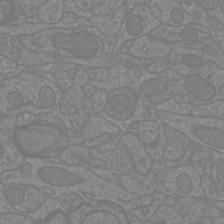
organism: Mouse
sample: Cortical neurons